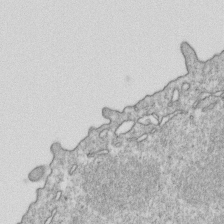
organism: Mouse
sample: Activated OT-1 CD8+ T cells